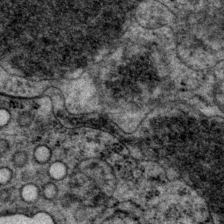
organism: P. pacificus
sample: Pharynx